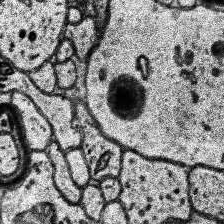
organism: Human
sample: Temporal Lobe